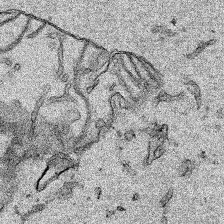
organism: Human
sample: Mitochondria in HCT116 cells